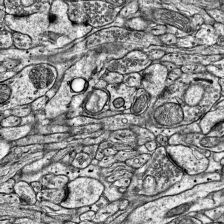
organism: Mouse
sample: Visual Cortex